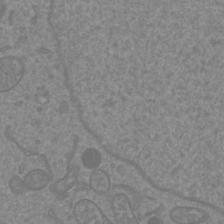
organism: Mouse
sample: Cortical neurons